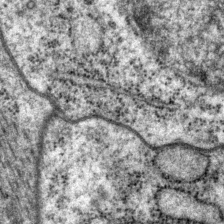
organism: P. pacificus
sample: Pharynx